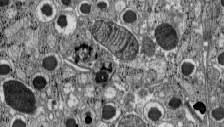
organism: C57BL Mouse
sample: Pancreatic islet